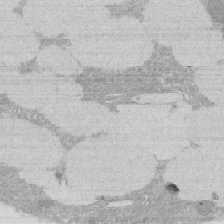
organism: Rat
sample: Salivary granule